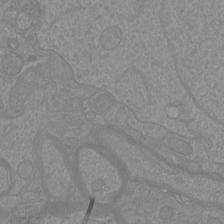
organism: Mouse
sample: Cortical neurons